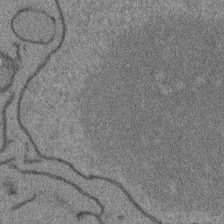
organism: Arabidopsis thaliana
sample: Root tip